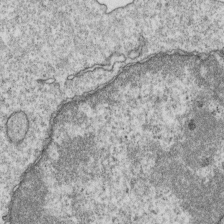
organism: Mouse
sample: Activated OT-1 CD8+ T cells